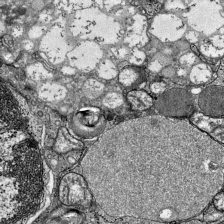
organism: Mouse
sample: Visual Cortex